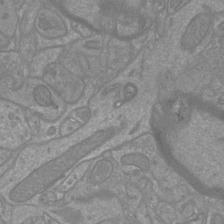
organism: Mouse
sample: Cortical neurons